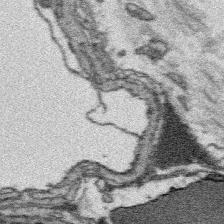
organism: Platynereis dumerilii